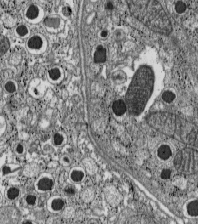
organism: C57BL Mouse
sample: Pancreatic islet